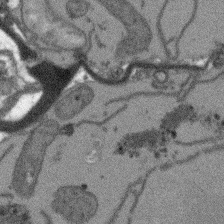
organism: Arabidopsis thaliana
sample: Root tip